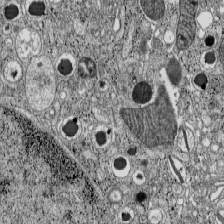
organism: C57BL Mouse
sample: Pancreatic islet